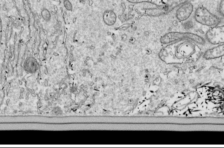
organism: Drosophila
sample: Cell division; meiosis; drosophila spermatocytes